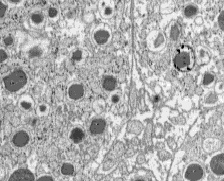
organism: C57BL Mouse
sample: Pancreatic islet